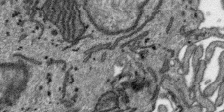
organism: Human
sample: Lung epithelial cells, uninfected (mock) control